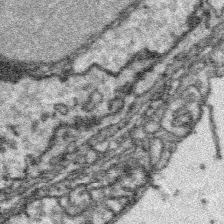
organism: Platynereis dumerilii